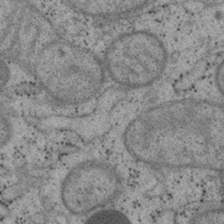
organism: Human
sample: HeLa cells